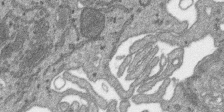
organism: Human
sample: Lung epithelial cells infected with SARS-CoV-2